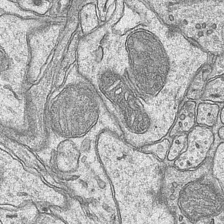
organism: Mouse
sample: CA1 Hippocampus